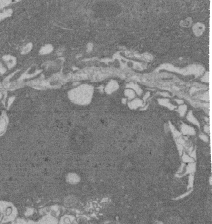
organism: Rat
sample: Salivary granule